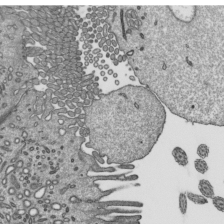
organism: Mouse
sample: Mouse epididymis efferent ductule cilia